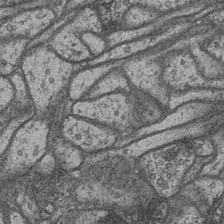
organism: Drosophila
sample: Optic medulla